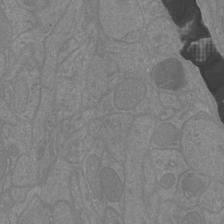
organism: Mouse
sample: Cortical neurons